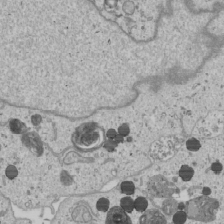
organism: Human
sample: Mitochondria in U2OS cells